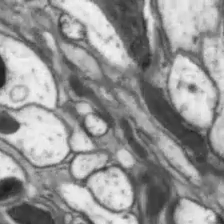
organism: Drosophila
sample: Optic lobe